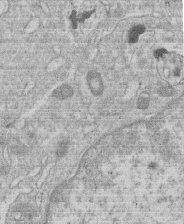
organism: Human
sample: Macrophage cells